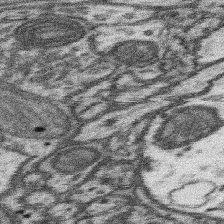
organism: Mouse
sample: Somatosensory cortex neuropil